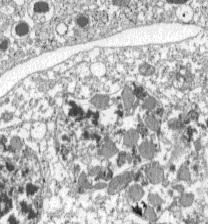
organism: C57BL Mouse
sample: Pancreatic islet